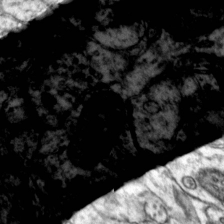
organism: Mouse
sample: Primary visual cortex